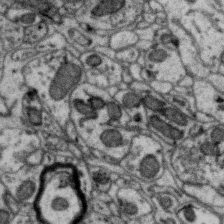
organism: Zebra finch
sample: Brain